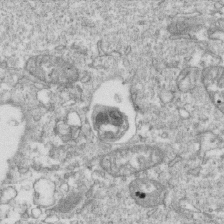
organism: Mouse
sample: Activated OT-1 CD8+ T cells